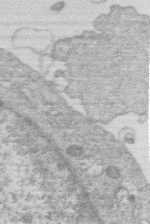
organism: Human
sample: Macrophage cells